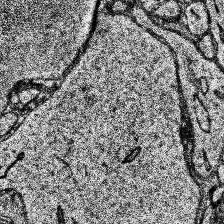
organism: Human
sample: Temporal Lobe